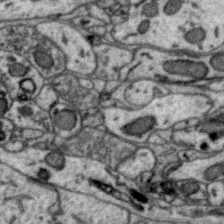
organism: Zebra finch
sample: Brain